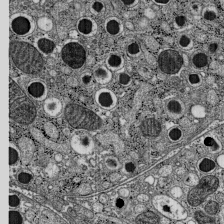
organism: C57BL Mouse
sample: Pancreatic islet